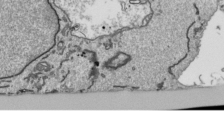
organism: Human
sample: Mitochondria in HCT116 cells